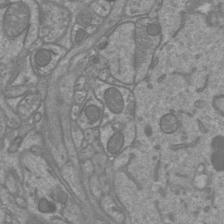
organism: Mouse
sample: Cortical neurons